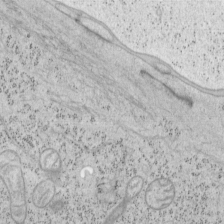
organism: Mouse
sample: OT-I killer T cells with ID8 ovarian cancer cells